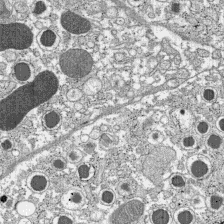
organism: C57BL Mouse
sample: Pancreatic islet